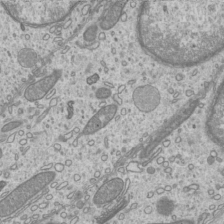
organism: Mouse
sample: Cilia; mouse epididymis